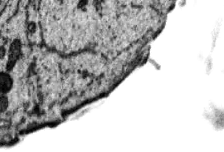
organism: Human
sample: HeLa cells